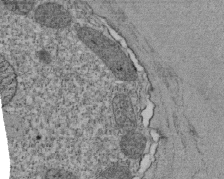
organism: Tetrahymena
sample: Cilia in tetrahymena